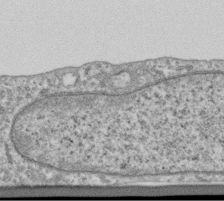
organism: Human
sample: Centriole in RPE cells